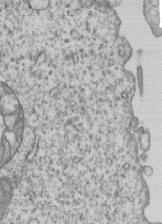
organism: Human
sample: MDA-MB-231 cells